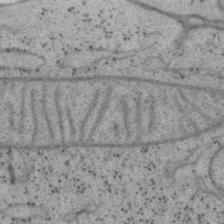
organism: Human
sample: HeLa cells